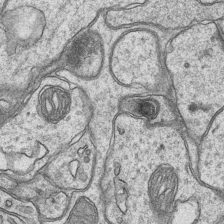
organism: Mouse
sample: CA1 Hippocampus